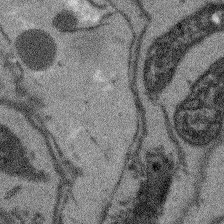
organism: Arabidopsis thaliana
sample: Root tip